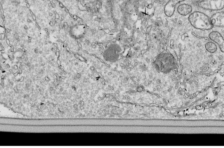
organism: Drosophila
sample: Cell division; meiosis; drosophila spermatocytes